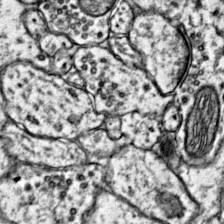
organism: Mouse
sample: Primary visual cortex